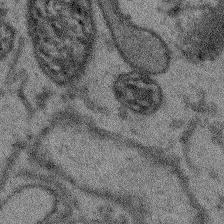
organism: Arabidopsis thaliana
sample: Root tip